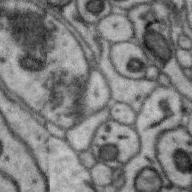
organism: Zebra finch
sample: Brain